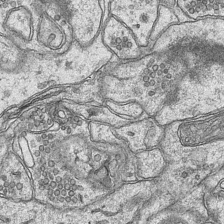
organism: Mouse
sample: CA1 Hippocampus